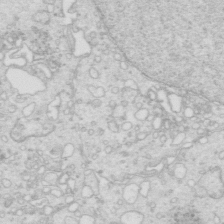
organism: Mouse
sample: Multiciliated cells